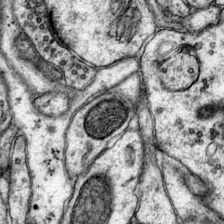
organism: Mouse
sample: Primary visual cortex